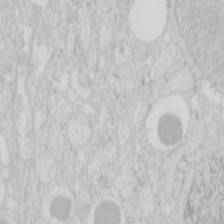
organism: Mouse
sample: Pancreas